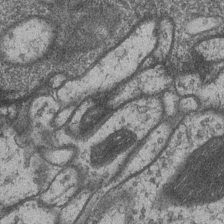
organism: Drosophila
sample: Optic medulla